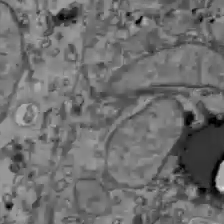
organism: C57BL Mouse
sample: Liver